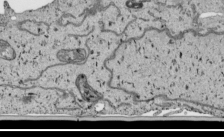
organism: Human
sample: Mitochondria in HCT116 cells